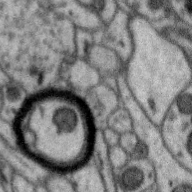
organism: Zebra finch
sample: Brain